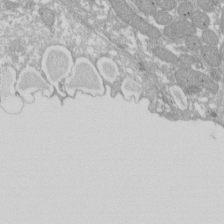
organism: Xenopus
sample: Cilia; centrioles in frog embryo cells